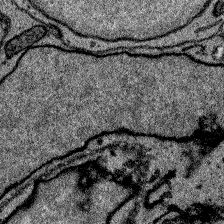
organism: Zebrafish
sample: Larval olfactory bulb